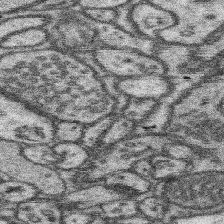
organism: Mouse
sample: Somatosensory cortex neuropil